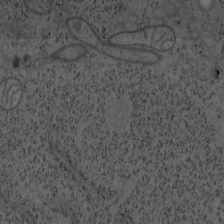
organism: Mouse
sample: OT-I killer T cells with ID8 ovarian cancer cells